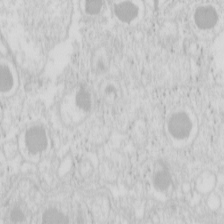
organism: Mouse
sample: Pancreas